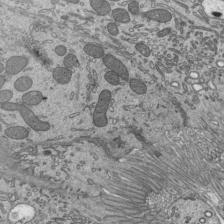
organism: Mouse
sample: Mouse epididymis efferent ductule cilia